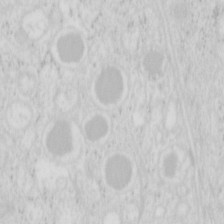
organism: Mouse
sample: Pancreas